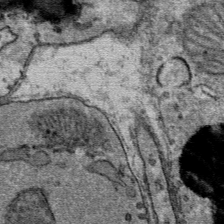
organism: Mouse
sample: Mouse Salivary gland